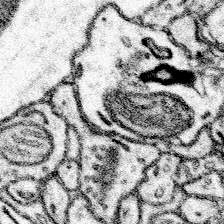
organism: Mouse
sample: Somatosensory cortex neuropil